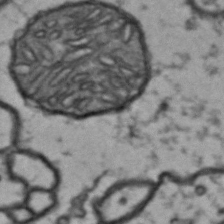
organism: Drosophila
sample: Brain